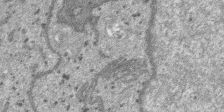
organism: Human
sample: Lung epithelial cells infected with SARS-CoV-2